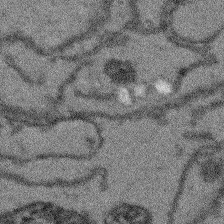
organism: Arabidopsis thaliana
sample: Root tip